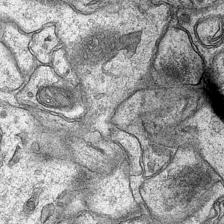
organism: Mouse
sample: CA1 Hippocampus